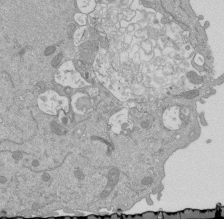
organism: Mouse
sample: ED-1 cell nuclei; centrioles